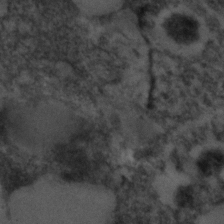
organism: C. elegans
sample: C. elegans embryo